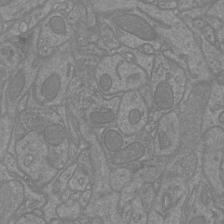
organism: Mouse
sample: Cortical neurons